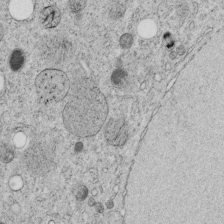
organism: C. elegans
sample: C. elegans embryo early stage